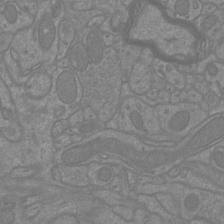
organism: Mouse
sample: Cortical neurons